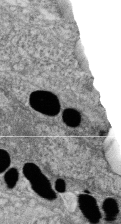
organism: Zebrafish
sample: Cilia; retinal pigment epithelium